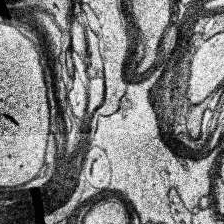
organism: Human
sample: Temporal Lobe